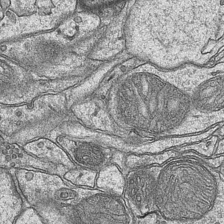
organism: Mouse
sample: CA1 Hippocampus